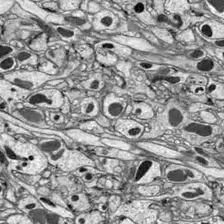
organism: Drosophila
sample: Optic lobe